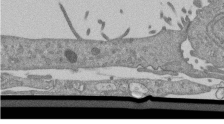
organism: Mouse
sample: ED-1 cell nuclei; centrioles